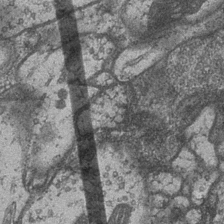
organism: Drosophila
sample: Optic medulla